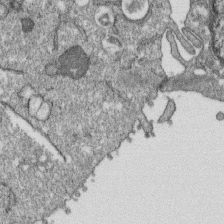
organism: African green monkey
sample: Vero E6 cells infected with SARS-CoV-2